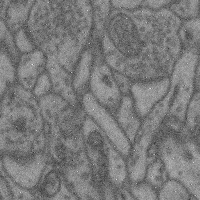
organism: Mouse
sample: Cerebral cortex